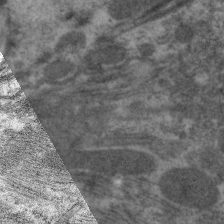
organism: C. elegans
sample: Pharynx